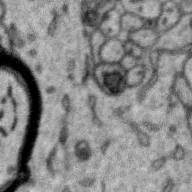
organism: Zebra finch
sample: Brain